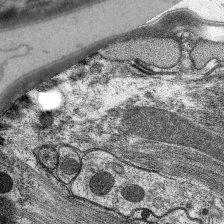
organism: C. elegans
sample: Pharynx